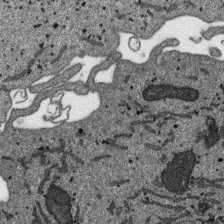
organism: Human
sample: Lung epithelial cells infected with SARS-CoV-2